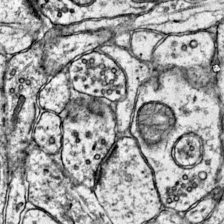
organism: Mouse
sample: Primary visual cortex